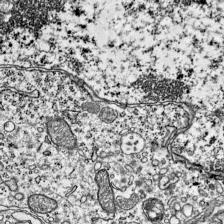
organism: Mouse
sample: Visual Cortex